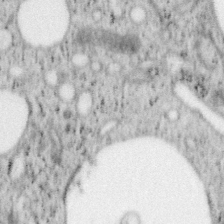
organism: Mouse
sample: OT-I killer T cells with ID8 ovarian cancer cells